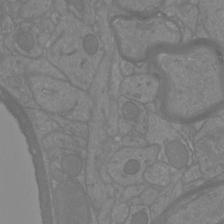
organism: Mouse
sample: Cortical neurons